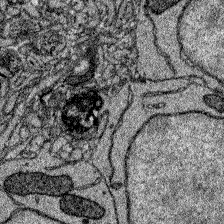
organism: Zebrafish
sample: Larval olfactory bulb